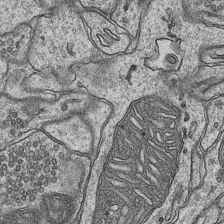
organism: Mouse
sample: CA1 Hippocampus